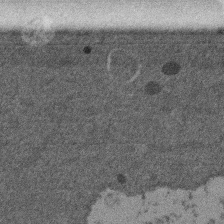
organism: Mouse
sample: Dividing mouse embryo 1 cell stage